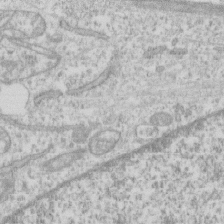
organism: Human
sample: CRL-1474